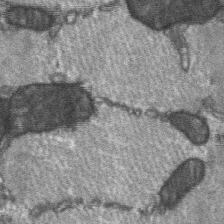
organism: C57BL Mouse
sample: Soleus